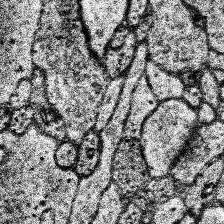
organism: Human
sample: Temporal Lobe